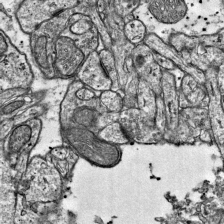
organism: Mouse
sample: Visual Cortex